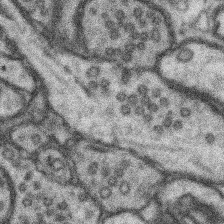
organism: Mouse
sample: Somatosensory cortex neuropil